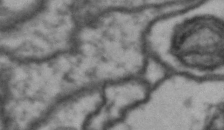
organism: Drosophila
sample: Brain